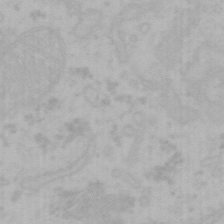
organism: Mouse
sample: Choroid plexus